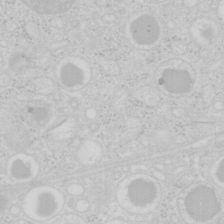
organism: Mouse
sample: Pancreas